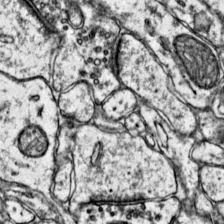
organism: Mouse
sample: Primary visual cortex